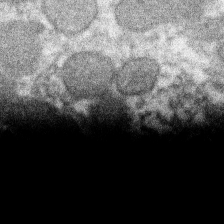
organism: Xenopus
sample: Cilia; centrioles in frog embryo cells